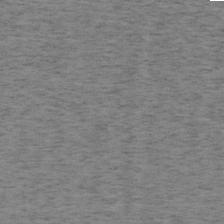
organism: Mouse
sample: OT-I killer T cells with ID8 ovarian cancer cells